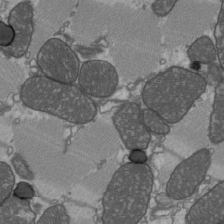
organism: C57BL Mouse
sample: Heart